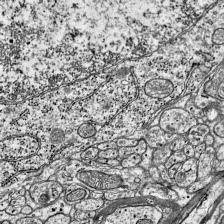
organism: Mouse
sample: Visual Cortex